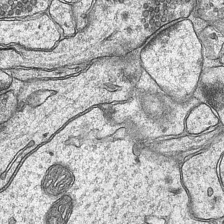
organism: Mouse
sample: CA1 Hippocampus